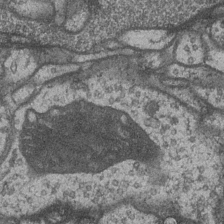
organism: Drosophila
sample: Optic medulla